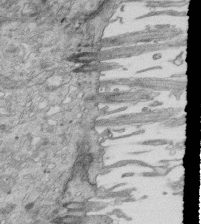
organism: Mouse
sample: Multiciliated cells